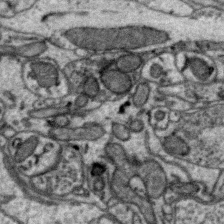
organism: Zebra finch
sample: Brain